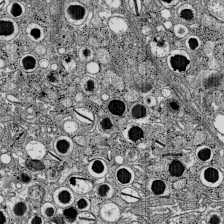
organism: C57BL Mouse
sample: Pancreatic islet